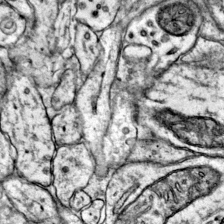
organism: Mouse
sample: Primary visual cortex